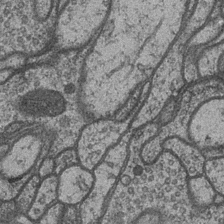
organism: Drosophila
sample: Optic medulla